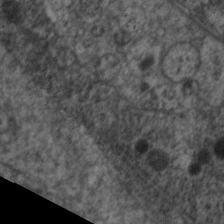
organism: C. elegans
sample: Pharynx